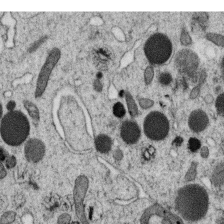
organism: C. elegans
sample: C. elegans oocyte; sperm cells